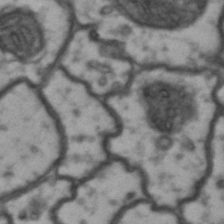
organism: Drosophila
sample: Brain